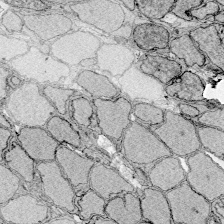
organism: Zebrafish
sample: Whole-Brain